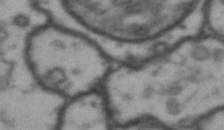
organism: Drosophila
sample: Brain